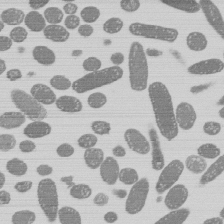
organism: E. coli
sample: Bacterial nucleoid